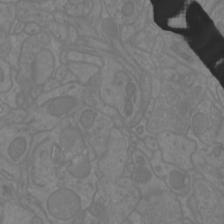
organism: Mouse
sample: Cortical neurons